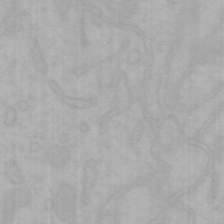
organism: Mouse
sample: Choroid plexus